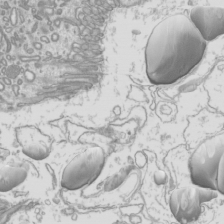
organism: Mouse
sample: Cilia; mouse epididymis